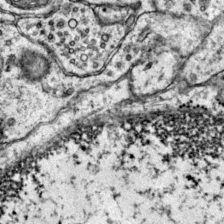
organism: Mouse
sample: Primary visual cortex